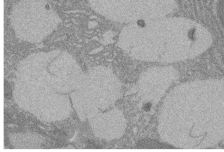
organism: Rat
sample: Salivary granule